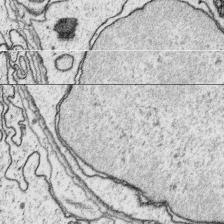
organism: Platynereis dumerilii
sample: Parapodia